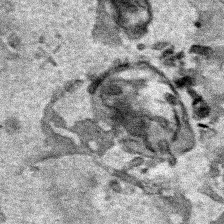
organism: Human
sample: Mitochondria in HCT116 cells